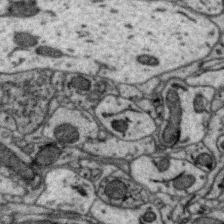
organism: Zebra finch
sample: Brain